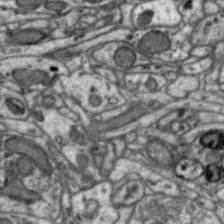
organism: Zebra finch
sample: Brain